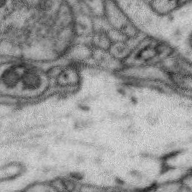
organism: Zebra finch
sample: Brain